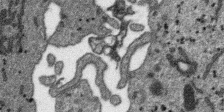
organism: Human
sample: Lung epithelial cells infected with SARS-CoV-2